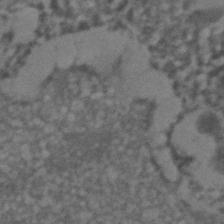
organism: C. elegans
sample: C. elegans embryo